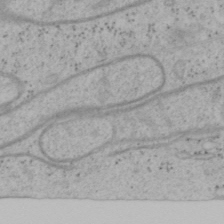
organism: Human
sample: HeLa cells